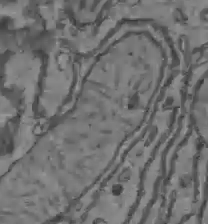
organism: C57BL Mouse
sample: Liver